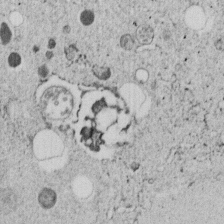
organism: C. elegans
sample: C. elegans embryo early stage